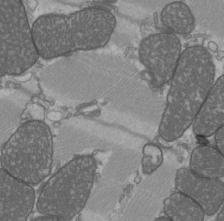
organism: C57BL Mouse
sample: Heart